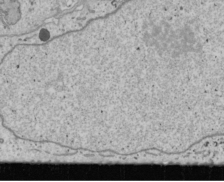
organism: Human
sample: Mitochondria in U2OS cells